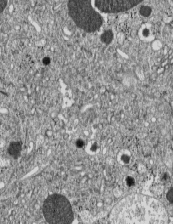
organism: C57BL Mouse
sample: Pancreatic islet